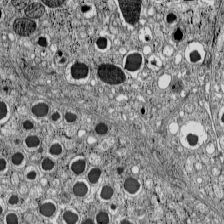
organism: C57BL Mouse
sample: Pancreatic islet